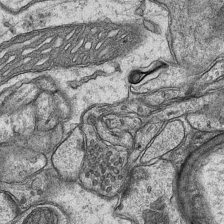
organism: Mouse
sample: CA1 Hippocampus